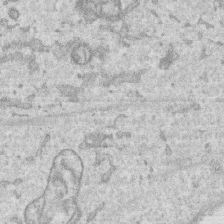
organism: Human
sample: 1205lu cells